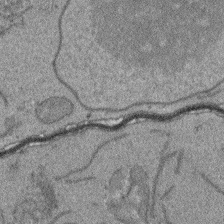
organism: Arabidopsis thaliana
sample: Root tip